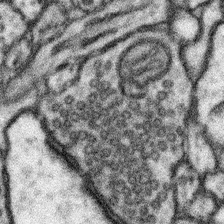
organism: Mouse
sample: Somatosensory cortex neuropil